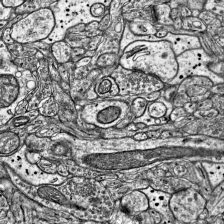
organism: Mouse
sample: Visual Cortex